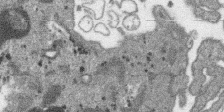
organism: Human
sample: Lung epithelial cells infected with SARS-CoV-2